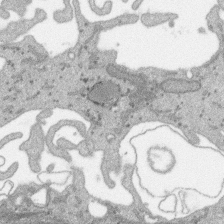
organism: Human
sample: Lung epithelial cells infected with SARS-CoV-2